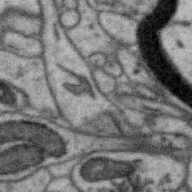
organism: Zebra finch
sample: Brain